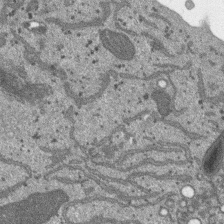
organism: Human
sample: Lung epithelial cells infected with SARS-CoV-2